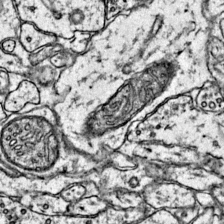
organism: Mouse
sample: Primary visual cortex